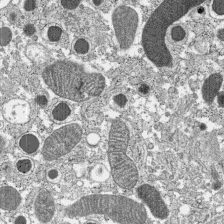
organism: C57BL Mouse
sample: Pancreatic islet